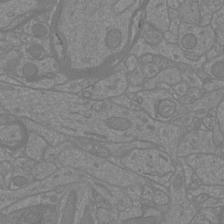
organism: Mouse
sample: Cortical neurons